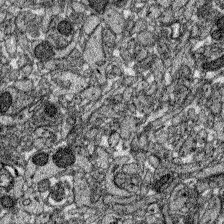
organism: Zebrafish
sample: Larval olfactory bulb